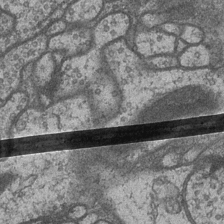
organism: Drosophila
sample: Optic medulla